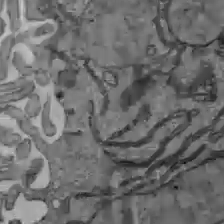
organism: C57BL Mouse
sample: Liver